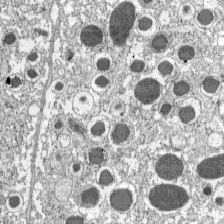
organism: C57BL Mouse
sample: Pancreatic islet